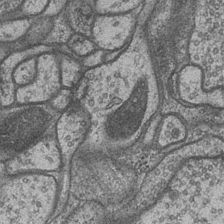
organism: Drosophila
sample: Optic medulla